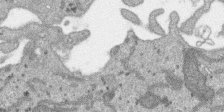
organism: Human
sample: Lung epithelial cells infected with SARS-CoV-2